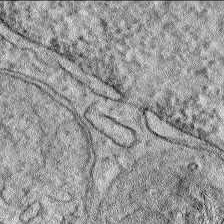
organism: Human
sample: HeLa cells